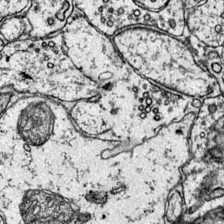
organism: Mouse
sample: Primary visual cortex